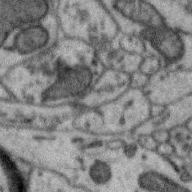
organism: Zebra finch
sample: Brain